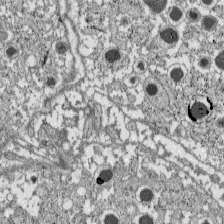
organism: C57BL Mouse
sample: Pancreatic islet